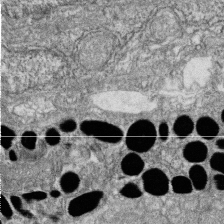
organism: Zebrafish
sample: Cilia; retinal pigment epithelium